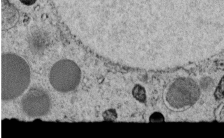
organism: C. elegans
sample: C. elegans embryo early stage